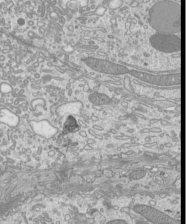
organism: Mouse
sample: Cilia; mouse epididymis